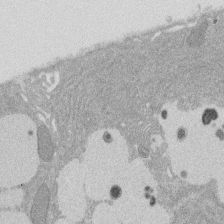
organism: Rat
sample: Salivary granule